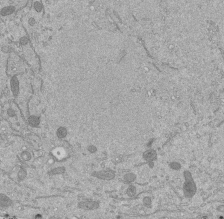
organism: Mouse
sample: ED-1 cell nuclei; centrioles